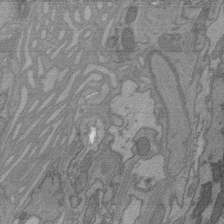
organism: C. elegans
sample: AFD neurons C. elegans